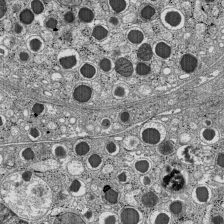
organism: C57BL Mouse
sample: Pancreatic islet